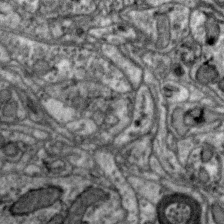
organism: Zebra finch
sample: Brain